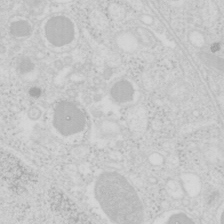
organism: Mouse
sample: Pancreas